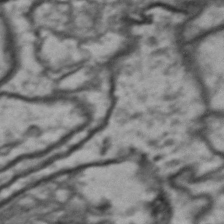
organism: Drosophila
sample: Brain